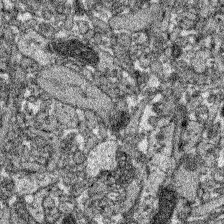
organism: Zebrafish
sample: Larval olfactory bulb